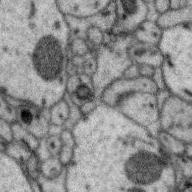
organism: Zebra finch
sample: Brain